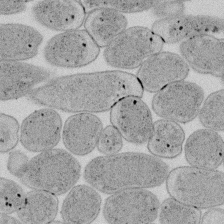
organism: E. coli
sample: Bacterial nucleoid